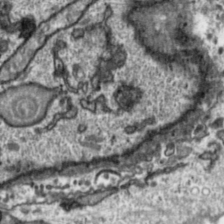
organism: Toxoplasma gondii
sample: Parasites in a vacuole inside a host cell